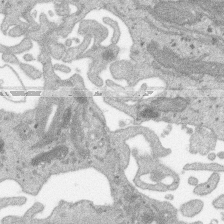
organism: Human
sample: Lung epithelial cells infected with SARS-CoV-2